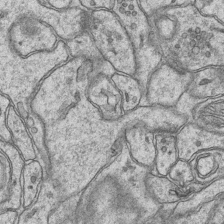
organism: Mouse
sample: CA1 Hippocampus